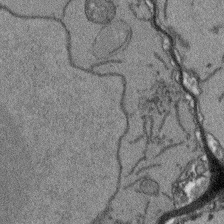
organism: Arabidopsis thaliana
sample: Root tip